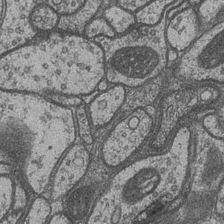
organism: Drosophila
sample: Optic medulla